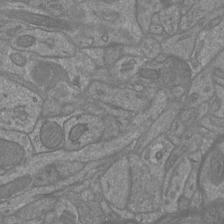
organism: Mouse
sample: Cortical neurons